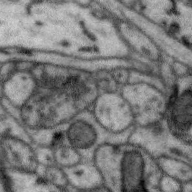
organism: Zebra finch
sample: Brain